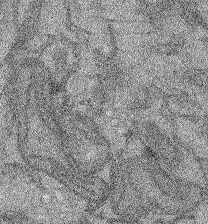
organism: Human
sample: HeLa cells